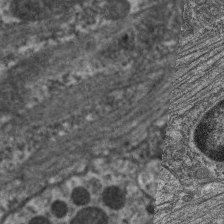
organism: C. elegans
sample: Pharynx